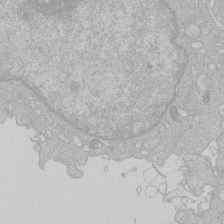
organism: Human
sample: Macrophage cells